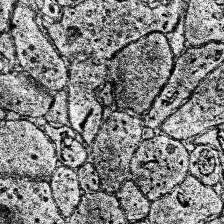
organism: Human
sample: Temporal Lobe